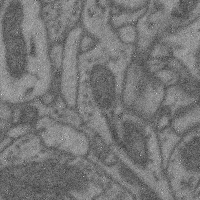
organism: Mouse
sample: Cerebral cortex